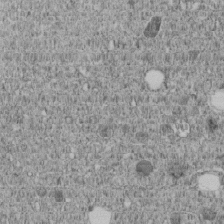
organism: C. elegans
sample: C. elegans embryo early stage